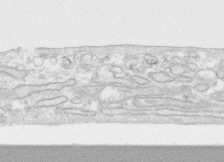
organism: Human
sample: CRL-1474